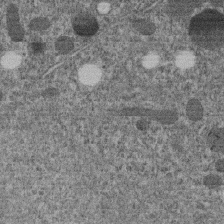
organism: C. elegans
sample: C. elegans embryo early stage